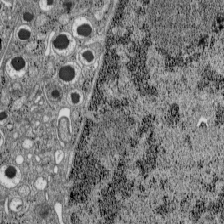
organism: C57BL Mouse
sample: Pancreatic islet